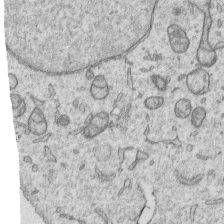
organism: Human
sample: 1205lu cells